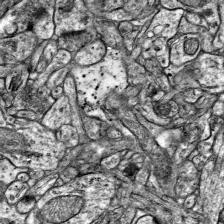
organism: Mouse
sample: Visual Cortex